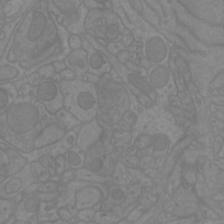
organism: Mouse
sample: Cortical neurons